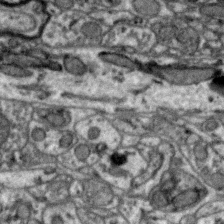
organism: Zebra finch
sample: Brain